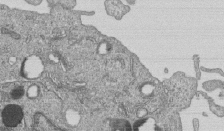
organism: Human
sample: MDA-MB-231 cells